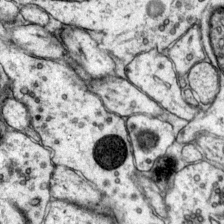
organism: Mouse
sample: Primary visual cortex